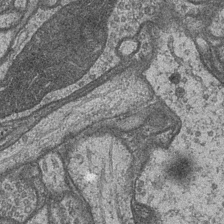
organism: Drosophila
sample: Optic medulla